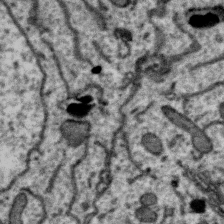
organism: Zebra finch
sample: Brain